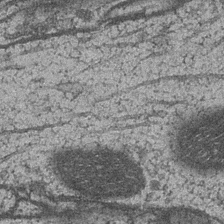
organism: Drosophila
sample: Optic medulla